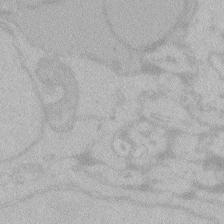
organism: Zebrafish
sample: Macrophage infected with Toxoplasma gondii